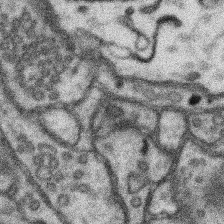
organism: Mouse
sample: Somatosensory cortex neuropil